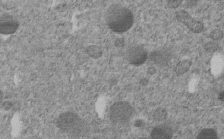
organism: C. elegans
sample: C. elegans embryo early stage